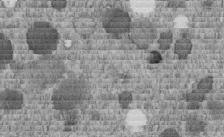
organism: C. elegans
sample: C. elegans embryo early stage